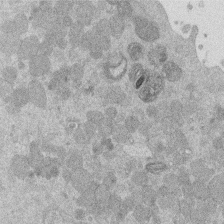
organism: Mouse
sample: Dividing mouse embryo 1 cell stage